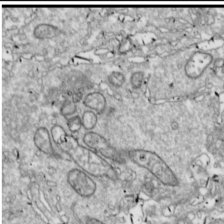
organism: Drosophila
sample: Cell division; meiosis; drosophila spermatocytes